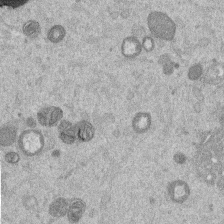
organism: Mouse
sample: Dividing mouse embryo 1 cell stage